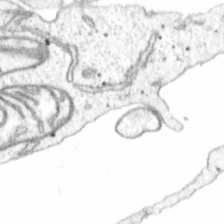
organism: Human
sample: HeLa cells